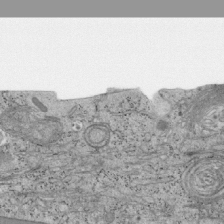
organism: Human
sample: HeLa cells